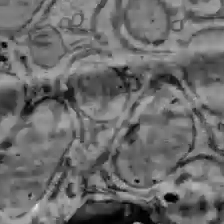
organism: C57BL Mouse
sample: Liver